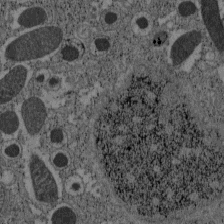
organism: C57BL Mouse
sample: Pancreatic islet